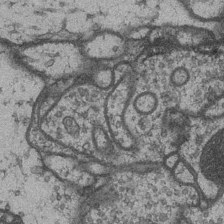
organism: Drosophila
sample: Optic medulla